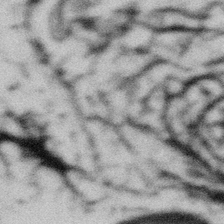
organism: Gemmata obscuriglobus